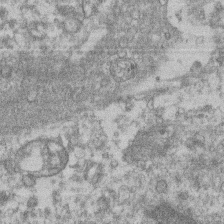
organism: Mouse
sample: T cell stromal cell synapse